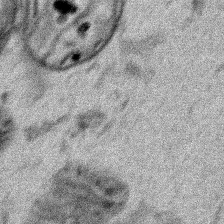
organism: Human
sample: Mitochondria in HCT116 cells